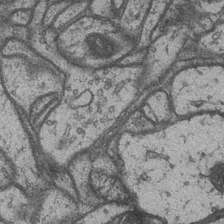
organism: Drosophila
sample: Optic medulla